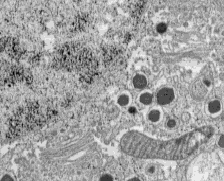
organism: C57BL Mouse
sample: Pancreatic islet